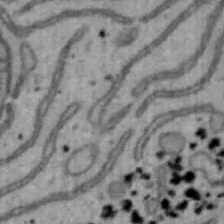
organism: Mouse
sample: Liver